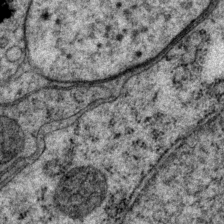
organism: P. pacificus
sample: Pharynx